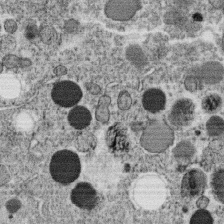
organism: C. elegans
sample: C. elegans oocyte; sperm cells